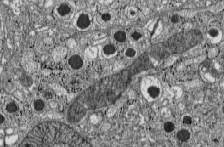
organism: C57BL Mouse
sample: Pancreatic islet